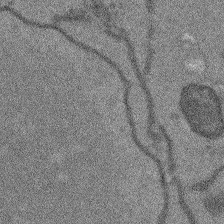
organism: Arabidopsis thaliana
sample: Root tip